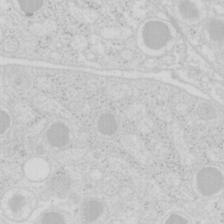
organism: Mouse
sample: Pancreas